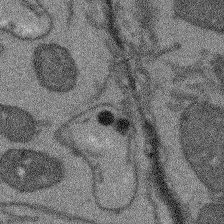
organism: Arabidopsis thaliana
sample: Root tip